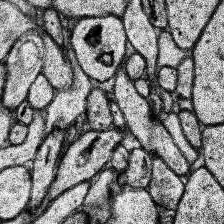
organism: Human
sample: Temporal Lobe